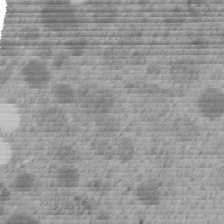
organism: C. elegans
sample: C. elegans embryo early stage